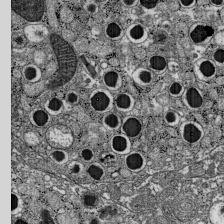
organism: C57BL Mouse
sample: Pancreatic islet